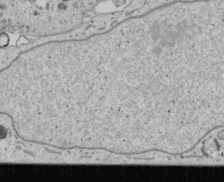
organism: Human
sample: Mitochondria in U2OS cells